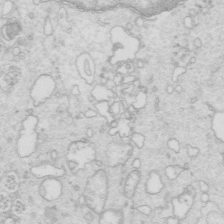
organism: Mouse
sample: Multiciliated cells